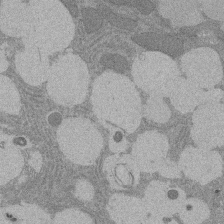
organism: Rat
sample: Salivary granule